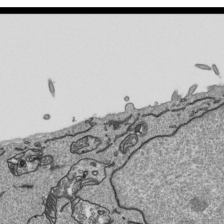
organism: Human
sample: Mitochondria in HCT116 cells